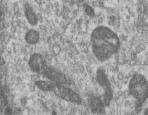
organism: Human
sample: Centriole in RPE cells